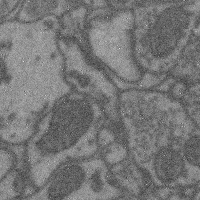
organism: Mouse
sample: Cerebral cortex